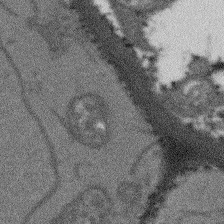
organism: Arabidopsis thaliana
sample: Root tip